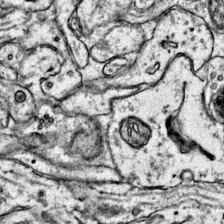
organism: Mouse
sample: Primary visual cortex